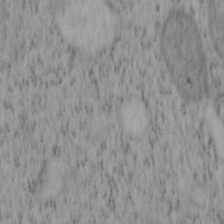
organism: Mouse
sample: OT-I killer T cells with ID8 ovarian cancer cells